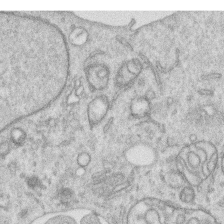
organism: Human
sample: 1205lu cells